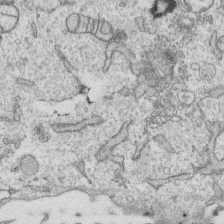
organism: Human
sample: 1205lu cells